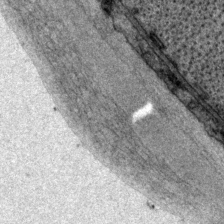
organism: P. pacificus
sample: Pharynx